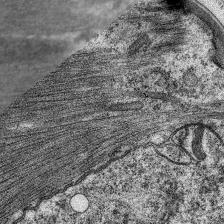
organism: C. elegans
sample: Pharynx